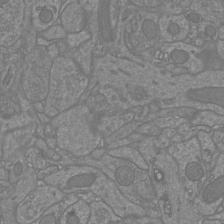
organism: Mouse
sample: Cortical neurons